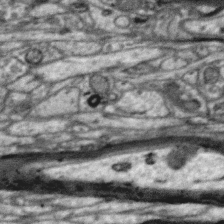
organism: Zebra finch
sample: Brain